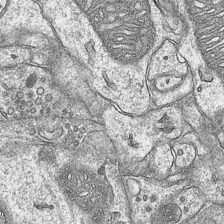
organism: Mouse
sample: CA1 Hippocampus